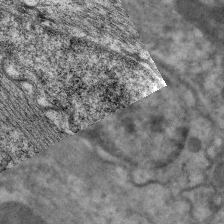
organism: C. elegans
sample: Pharynx